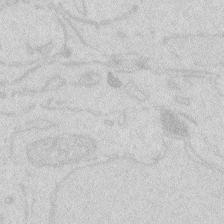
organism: Zebrafish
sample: Macrophage